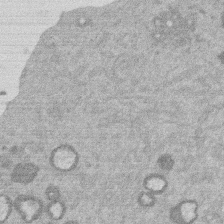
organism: Mouse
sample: Dividing mouse embryo 1 cell stage